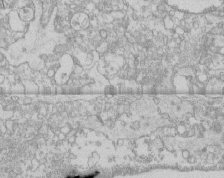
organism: Human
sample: CRL-1474